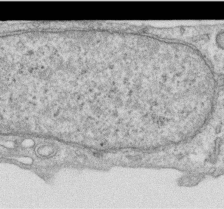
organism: Human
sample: Centriole in RPE cells